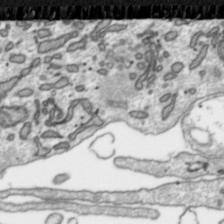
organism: Toxoplasma gondii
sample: Parasites in a vacuole inside a host cell